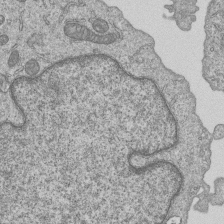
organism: Human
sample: MDA-MB-231 cells